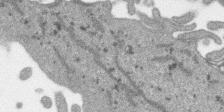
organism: Human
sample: Lung epithelial cells infected with SARS-CoV-2